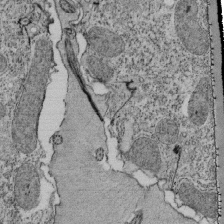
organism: Tetrahymena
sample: Cilia in tetrahymena